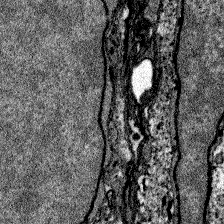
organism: Zebrafish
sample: Larval olfactory bulb